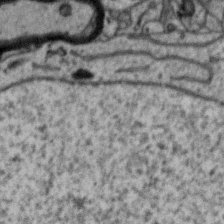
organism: Zebra finch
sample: Brain